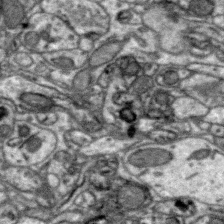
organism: Zebra finch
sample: Brain